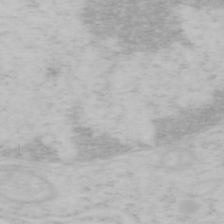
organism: Mouse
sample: OT-I killer T cells with ID8 ovarian cancer cells